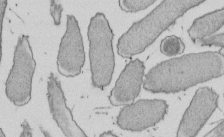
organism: E. coli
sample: Bacterial nucleoid